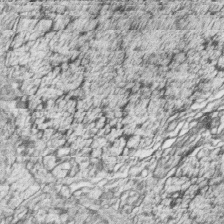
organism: Zebrafish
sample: synaptic ribbons in rod cells and cone cells